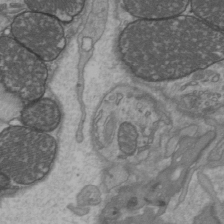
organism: C57BL Mouse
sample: Heart